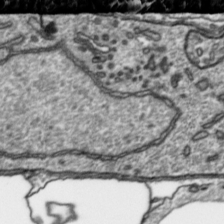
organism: Toxoplasma gondii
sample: Parasites in a vacuole inside a host cell